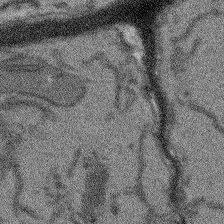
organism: Arabidopsis thaliana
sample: Root tip